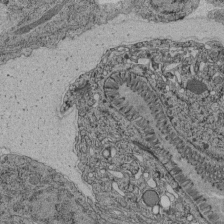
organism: C. elegans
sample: C. elegans pharynx